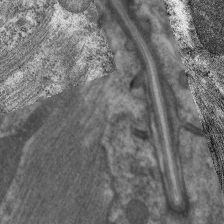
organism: C. elegans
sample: Pharynx